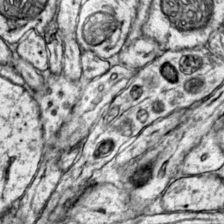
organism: Mouse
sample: Primary visual cortex